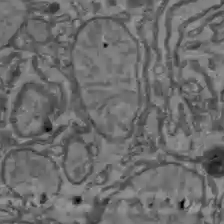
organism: C57BL Mouse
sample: Liver